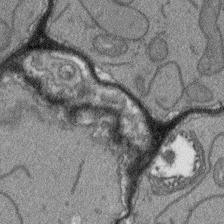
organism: Arabidopsis thaliana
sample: Root tip